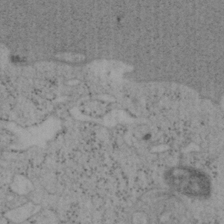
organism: Mouse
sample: OT-I killer T cells with ID8 ovarian cancer cells